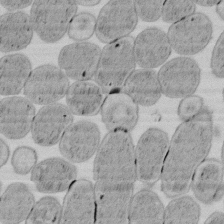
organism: E. coli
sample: Bacterial nucleoid